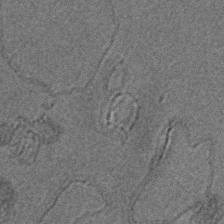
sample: Trachea